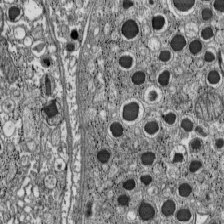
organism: C57BL Mouse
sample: Pancreatic islet